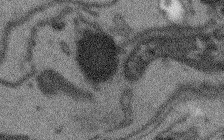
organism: Arabidopsis thaliana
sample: Root tip